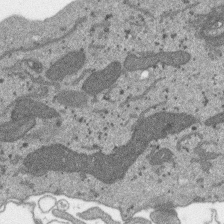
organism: Human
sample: Lung epithelial cells infected with SARS-CoV-2